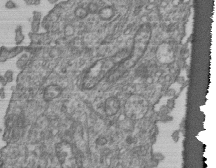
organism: Human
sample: Retinal organoid Rod and Cone cells